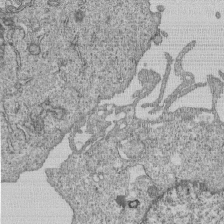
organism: Human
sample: MDA-MB-231 cells